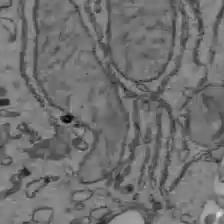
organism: C57BL Mouse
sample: Liver